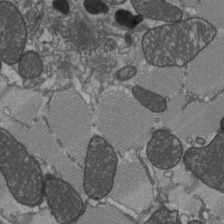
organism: C57BL Mouse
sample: Heart